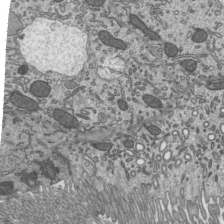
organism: Mouse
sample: Mouse epididymis efferent ductule cilia